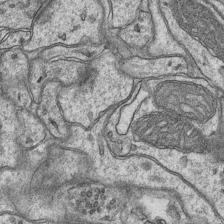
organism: Mouse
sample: CA1 Hippocampus